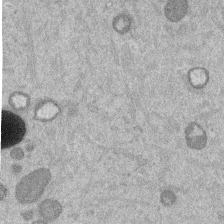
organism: Mouse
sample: Dividing mouse embryo 1 cell stage